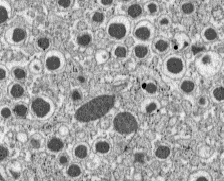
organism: C57BL Mouse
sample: Pancreatic islet